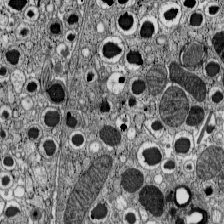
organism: C57BL Mouse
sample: Pancreatic islet